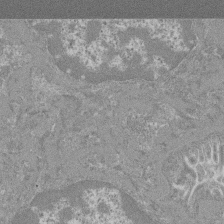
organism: Mouse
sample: Glomerulus